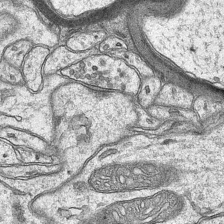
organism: Mouse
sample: CA1 Hippocampus